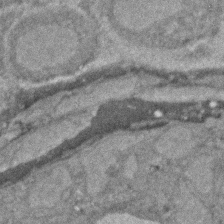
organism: Zebrafish